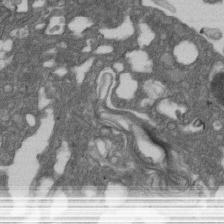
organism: Drosophila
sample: Nephrocyte